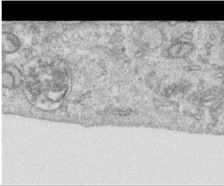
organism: Human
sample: Centriole in RPE cells